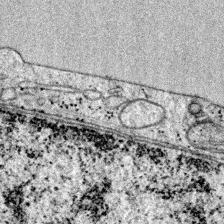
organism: Human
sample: HeLa cells